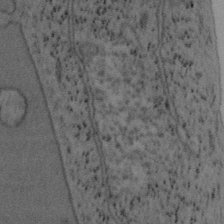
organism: Human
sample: HeLa cells